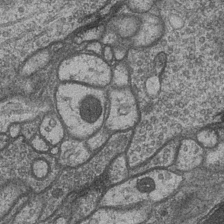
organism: Drosophila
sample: Optic medulla